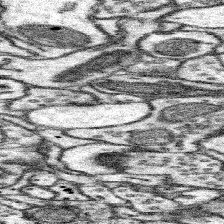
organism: Mouse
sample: Somatosensory cortex neuropil